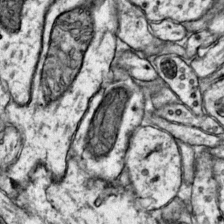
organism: Mouse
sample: Primary visual cortex